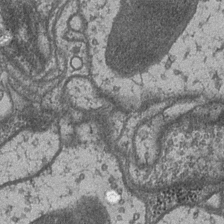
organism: Drosophila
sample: Optic medulla